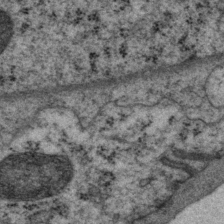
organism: P. pacificus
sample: Pharynx